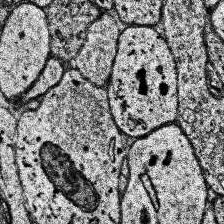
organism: Human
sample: Temporal Lobe